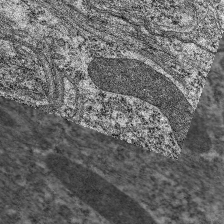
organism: C. elegans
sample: Pharynx